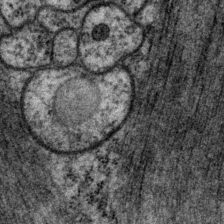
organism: P. pacificus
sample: Pharynx